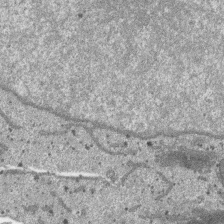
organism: Human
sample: Lung epithelial cells infected with SARS-CoV-2